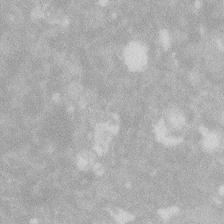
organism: Zebrafish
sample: Macrophage